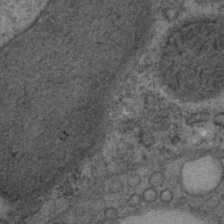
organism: C. elegans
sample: C. elegans embryo